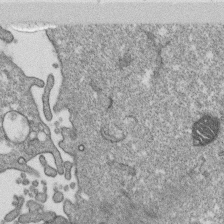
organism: African green monkey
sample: Vero E6 cells infected with SARS-CoV-2